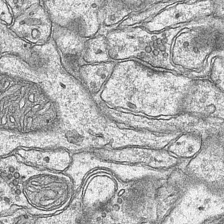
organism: Mouse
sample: CA1 Hippocampus